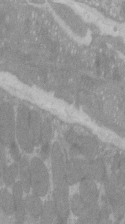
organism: C57BL Mouse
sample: Tibialis anterior muscle cell